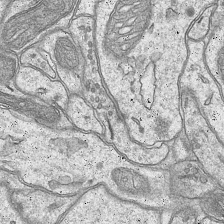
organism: Mouse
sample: CA1 Hippocampus